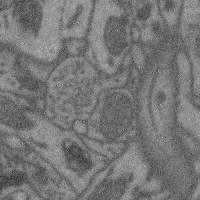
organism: Mouse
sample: Cerebral cortex